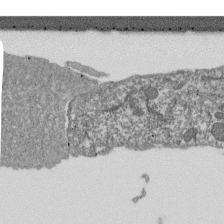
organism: Dictyostelium discoideum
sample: Dictyostelium multivesicular bodies